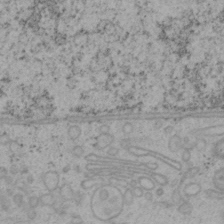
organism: Human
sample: HeLa cells